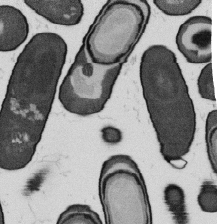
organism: B. subtilis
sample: Bacterial spore